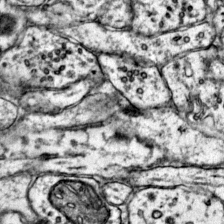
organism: Mouse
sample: Primary visual cortex